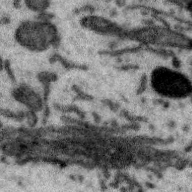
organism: Zebra finch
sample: Brain